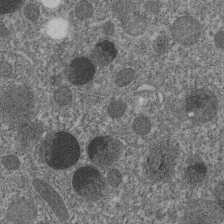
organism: C. elegans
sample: C. elegans embryo early stage